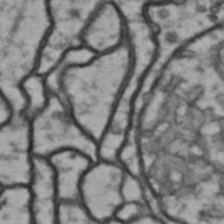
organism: Drosophila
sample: Brain